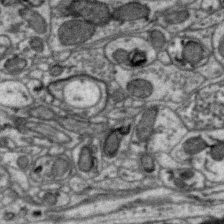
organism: Zebra finch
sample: Brain